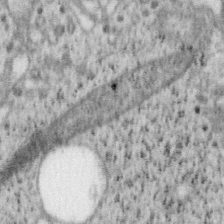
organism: Mouse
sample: OT-I killer T cells with ID8 ovarian cancer cells